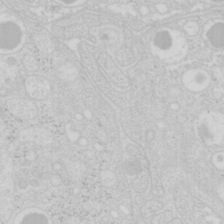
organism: Mouse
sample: Pancreas